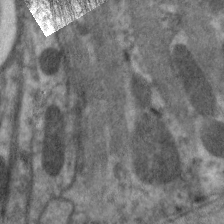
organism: C. elegans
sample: Pharynx